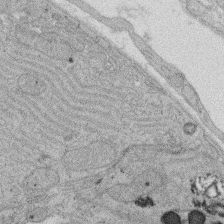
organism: Rat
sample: Salivary granule